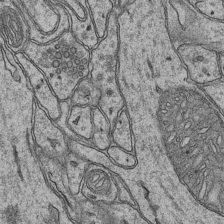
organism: Mouse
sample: CA1 Hippocampus